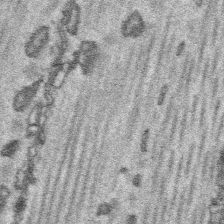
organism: Platynereis dumerilii